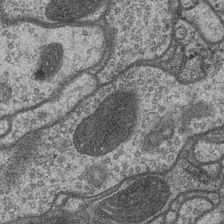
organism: Drosophila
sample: Optic medulla